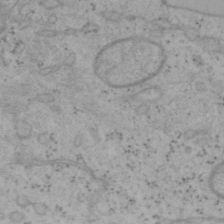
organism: Human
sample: HeLa cells